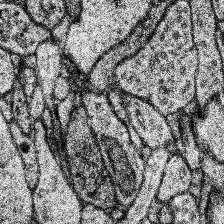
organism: Human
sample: Temporal Lobe